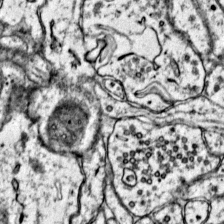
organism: Mouse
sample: Primary visual cortex